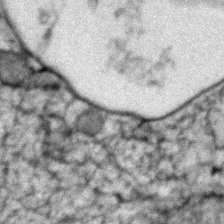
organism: Zebrafish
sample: Zebrafish embryo